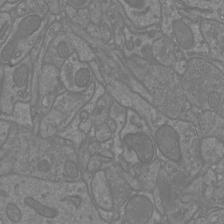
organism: Mouse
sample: Cortical neurons